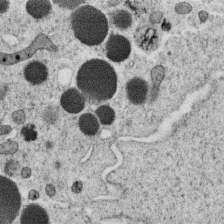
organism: C. elegans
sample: C. elegans oocyte; sperm cells